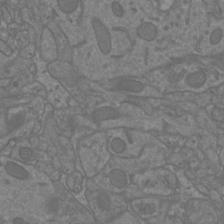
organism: Mouse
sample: Cortical neurons